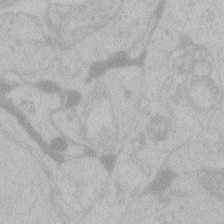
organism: Zebrafish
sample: Macrophage infected with Toxoplasma gondii